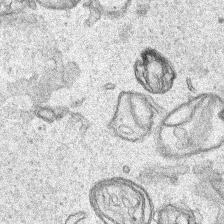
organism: Human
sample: Mitochondria in HCT116 cells